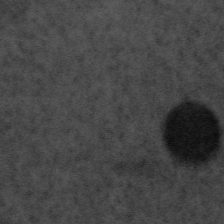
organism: Tuwongella immobilis